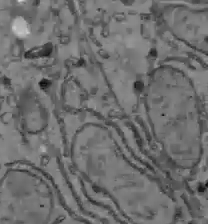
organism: C57BL Mouse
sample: Liver